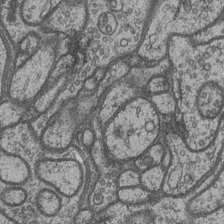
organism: Drosophila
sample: Optic medulla